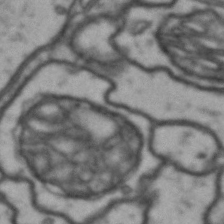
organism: Drosophila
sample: Brain